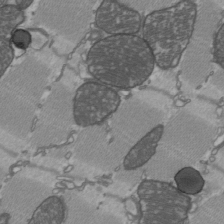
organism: C57BL Mouse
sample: Heart